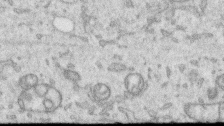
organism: Human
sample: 1205lu cells